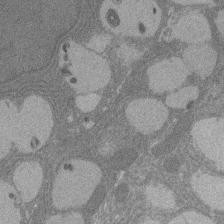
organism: Rat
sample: Salivary granule